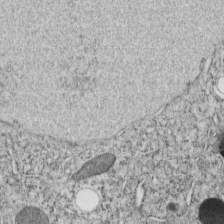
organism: C. elegans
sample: C. elegans embryo early stage